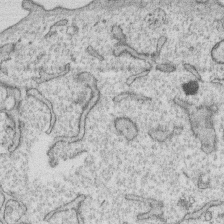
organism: Human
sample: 1205lu cells